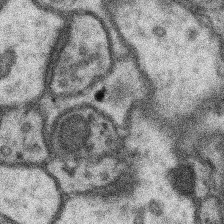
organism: Mouse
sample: Somatosensory cortex neuropil